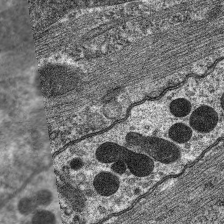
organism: C. elegans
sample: Pharynx